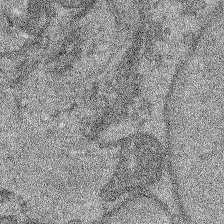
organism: Human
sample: HeLa cells